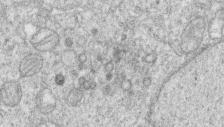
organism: Human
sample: HeLa cell HIV synapse